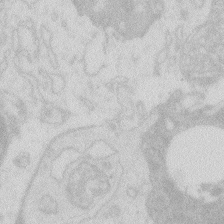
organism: Zebrafish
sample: Macrophage